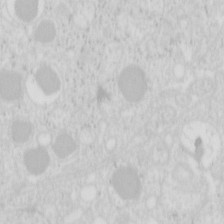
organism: Mouse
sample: Pancreas